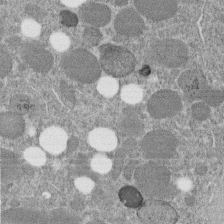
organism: C. elegans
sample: C. elegans embryo early stage